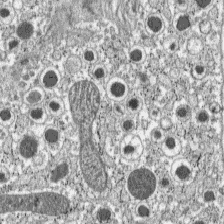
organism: C57BL Mouse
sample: Pancreatic islet